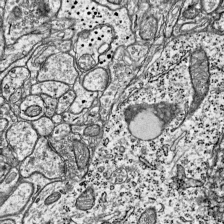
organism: Mouse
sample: Visual Cortex